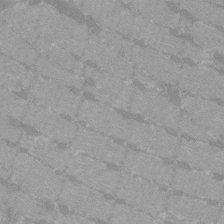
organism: C57BL Mouse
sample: Tibialis anterior muscle cell